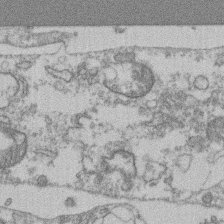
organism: Mouse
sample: T cell stromal cell synapse